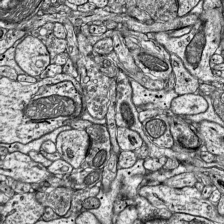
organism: Mouse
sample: Visual Cortex